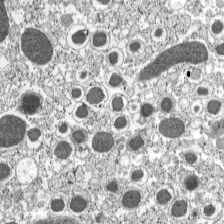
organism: C57BL Mouse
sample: Pancreatic islet